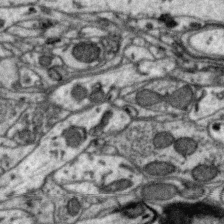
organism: Zebra finch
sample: Brain